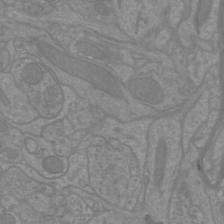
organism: Mouse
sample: Cortical neurons